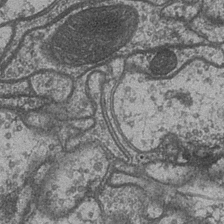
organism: Drosophila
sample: Optic medulla